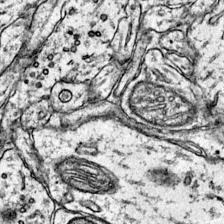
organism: Mouse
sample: Primary visual cortex